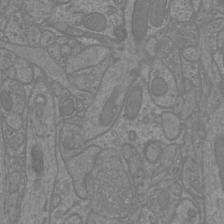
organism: Mouse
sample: Cortical neurons